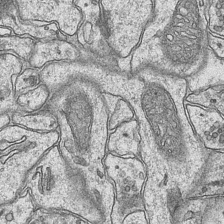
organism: Mouse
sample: CA1 Hippocampus